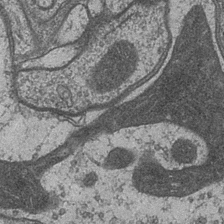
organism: Drosophila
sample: Optic medulla